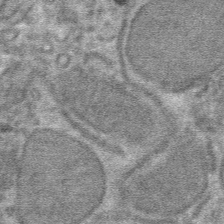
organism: Mouse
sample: Mouse hepatocytes